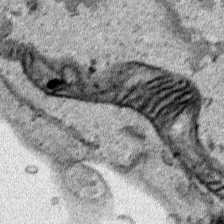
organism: Human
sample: Mitochondria in HCT116 cells